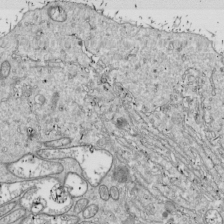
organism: Drosophila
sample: Cell division; meiosis; drosophila spermatocytes